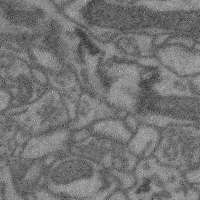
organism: Mouse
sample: Cerebral cortex